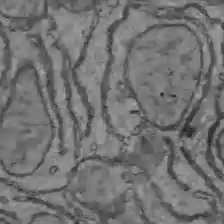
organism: C57BL Mouse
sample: Liver